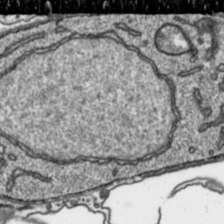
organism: Toxoplasma gondii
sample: Parasites in a vacuole inside a host cell